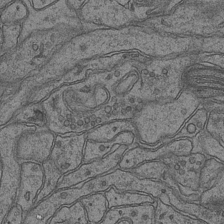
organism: Mouse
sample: CA1 Hippocampus